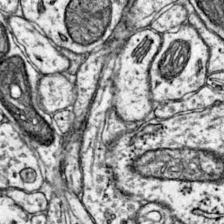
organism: Mouse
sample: Primary visual cortex